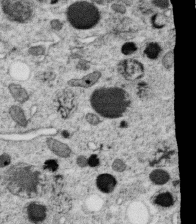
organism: C. elegans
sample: C. elegans oocyte; sperm cells